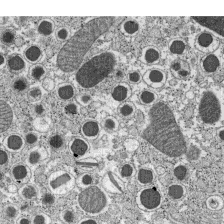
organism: C57BL Mouse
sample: Pancreatic islet